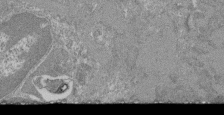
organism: Mouse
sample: Glomerulus